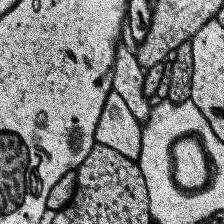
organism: Human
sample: Temporal Lobe